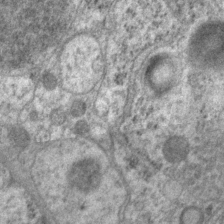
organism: P. pacificus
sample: Pharynx